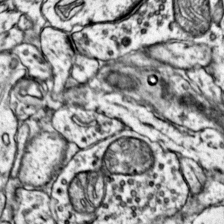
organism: Mouse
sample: Primary visual cortex